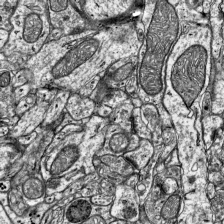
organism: Mouse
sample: Visual Cortex